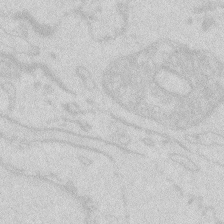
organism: Zebrafish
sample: Macrophage